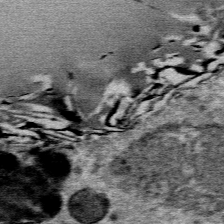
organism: Mouse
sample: Mouse Salivary gland